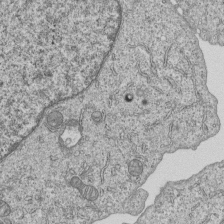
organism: Human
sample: MDA-MB-231 cells